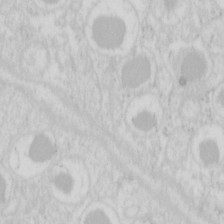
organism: Mouse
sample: Pancreas